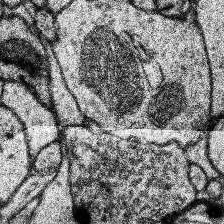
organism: Human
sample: Temporal Lobe